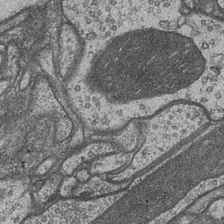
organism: Drosophila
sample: Optic medulla